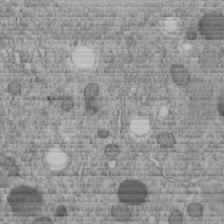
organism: C. elegans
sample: C. elegans embryo early stage